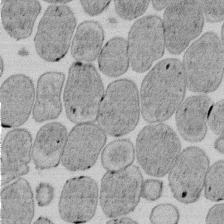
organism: E. coli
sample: Bacterial nucleoid